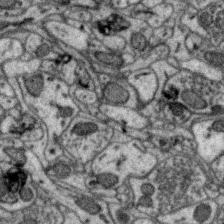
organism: Zebra finch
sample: Brain